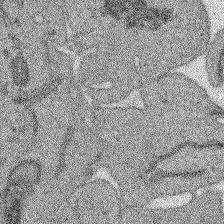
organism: Human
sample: HeLa cells